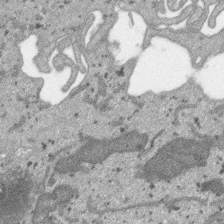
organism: Human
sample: Lung epithelial cells infected with SARS-CoV-2